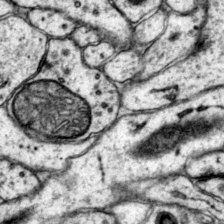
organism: Mouse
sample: Primary visual cortex